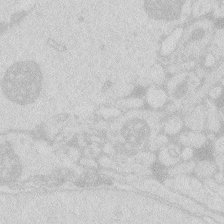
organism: Zebrafish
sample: Macrophage